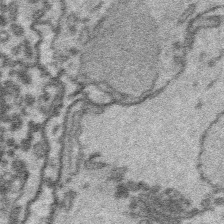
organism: Platynereis dumerilii